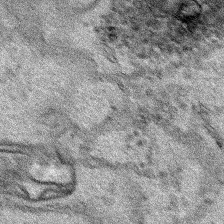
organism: Human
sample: Mitochondria in HCT116 cells